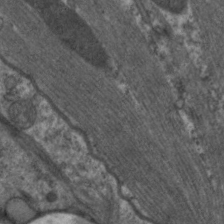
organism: C. elegans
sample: Pharynx